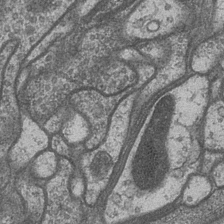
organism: Drosophila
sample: Optic medulla